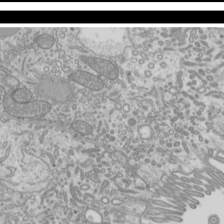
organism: Mouse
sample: Cilia; mouse epididymis